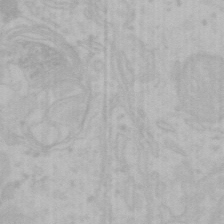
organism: Mouse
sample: Choroid plexus